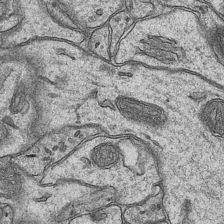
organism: Mouse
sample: CA1 Hippocampus